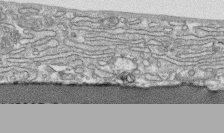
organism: Human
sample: CRL-1474